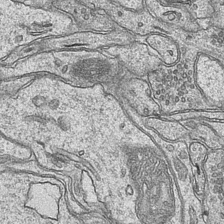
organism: Mouse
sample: CA1 Hippocampus